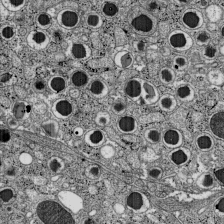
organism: C57BL Mouse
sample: Pancreatic islet